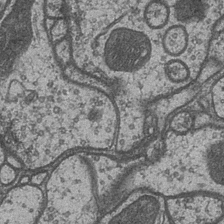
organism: Drosophila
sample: Optic medulla